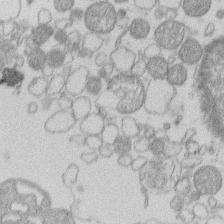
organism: Human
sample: Macrophage cells